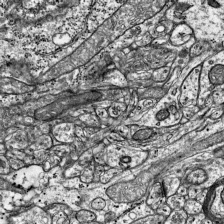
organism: Mouse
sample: Visual Cortex